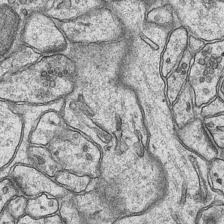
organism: Mouse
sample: CA1 Hippocampus